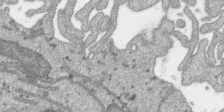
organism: Human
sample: Lung epithelial cells infected with SARS-CoV-2